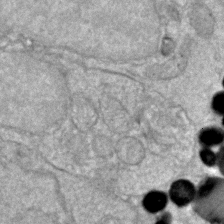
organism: Zebrafish